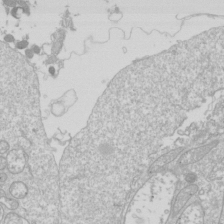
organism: Drosophila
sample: Cell division; meiosis; drosophila spermatocytes